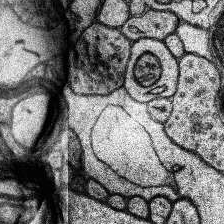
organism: Human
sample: Temporal Lobe